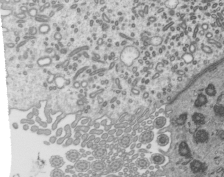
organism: Mouse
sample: Mouse epididymis efferent ductule cilia